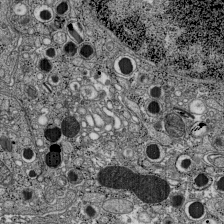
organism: C57BL Mouse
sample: Pancreatic islet